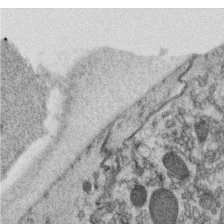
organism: C. elegans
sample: C. elegans oocyte; sperm cells